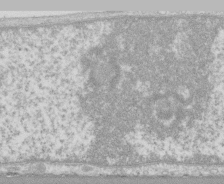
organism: Human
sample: CRL-1474